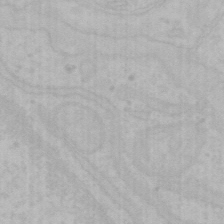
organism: Mouse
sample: Choroid plexus